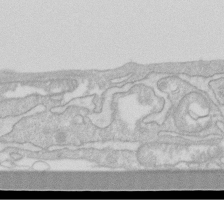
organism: Human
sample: Fibroblast cells